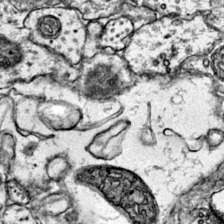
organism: Mouse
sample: Primary visual cortex